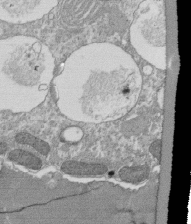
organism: Tetrahymena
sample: Cilia in tetrahymena